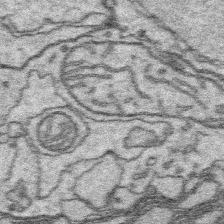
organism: Platynereis dumerilii